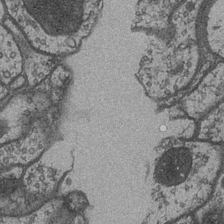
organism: Drosophila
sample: Optic medulla